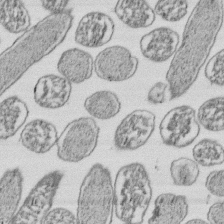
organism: E. coli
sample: Bacterial nucleoid